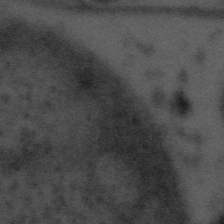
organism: Tuwongella immobilis